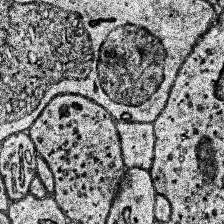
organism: Human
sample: Temporal Lobe